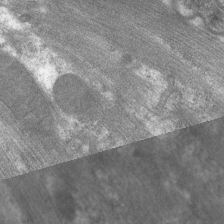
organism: C. elegans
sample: Pharynx